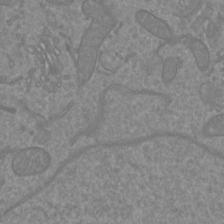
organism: Mouse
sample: Cortical neurons